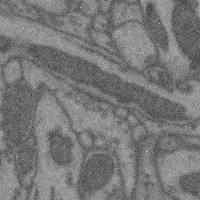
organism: Mouse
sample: Cerebral cortex